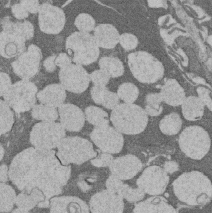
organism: Rat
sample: Salivary granule